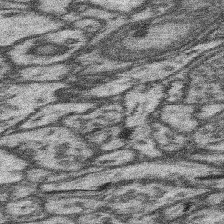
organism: Mouse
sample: Somatosensory cortex neuropil